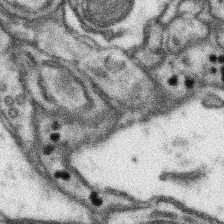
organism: Mouse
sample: Somatosensory cortex neuropil